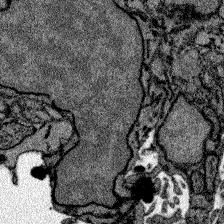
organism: Zebrafish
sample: Larval olfactory bulb